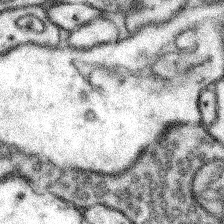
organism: Mouse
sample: Somatosensory cortex neuropil